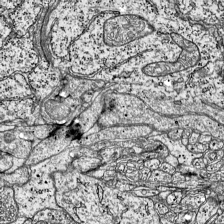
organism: Mouse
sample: Visual Cortex